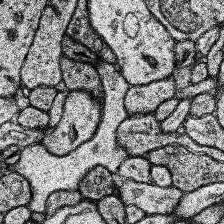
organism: Human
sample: Temporal Lobe